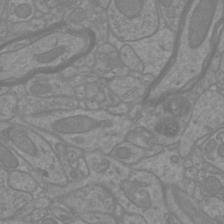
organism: Mouse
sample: Cortical neurons